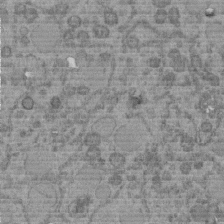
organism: C. elegans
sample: C. elegans embryo early stage